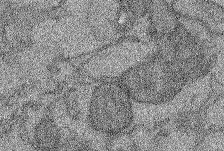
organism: Human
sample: HeLa cells